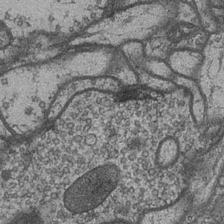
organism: Drosophila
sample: Optic medulla